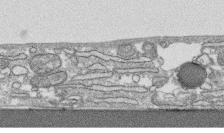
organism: Human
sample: CRL-1474